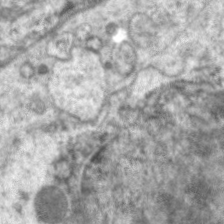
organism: C. elegans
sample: Pharynx